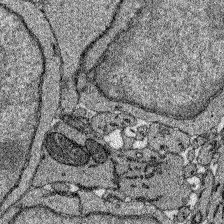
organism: Zebrafish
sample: Larval olfactory bulb